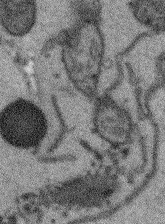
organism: Arabidopsis thaliana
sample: Root tip